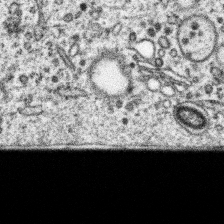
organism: Human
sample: HeLa cells